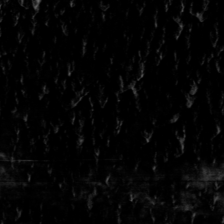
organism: Toxoplasma gondii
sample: Parasites in a vacuole inside a host cell